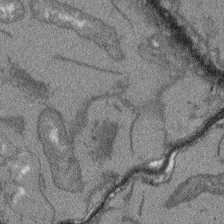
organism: Arabidopsis thaliana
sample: Root tip